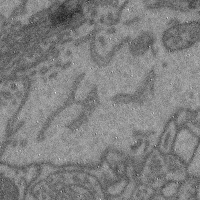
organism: Mouse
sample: Cerebral cortex